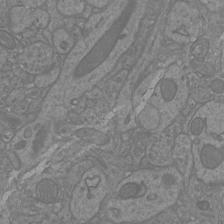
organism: Mouse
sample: Cortical neurons